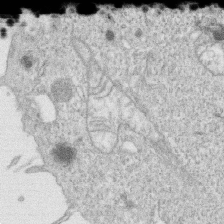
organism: Human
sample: HeLa cell HIV synapse